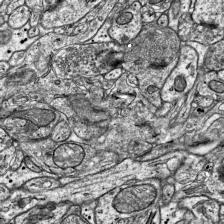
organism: Mouse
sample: Visual Cortex